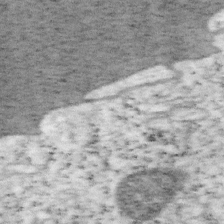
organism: Mouse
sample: OT-I killer T cells with ID8 ovarian cancer cells